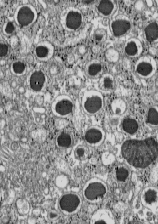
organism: C57BL Mouse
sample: Pancreatic islet